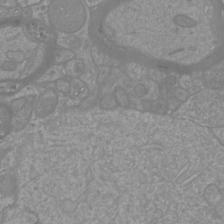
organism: Mouse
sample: Cortical neurons